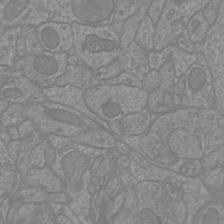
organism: Mouse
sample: Cortical neurons